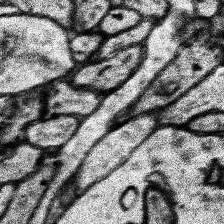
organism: Human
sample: Temporal Lobe